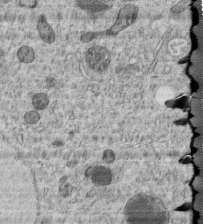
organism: C. elegans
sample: C. elegans embryo early stage